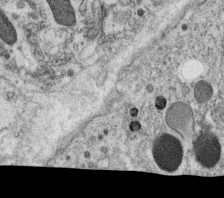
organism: C. elegans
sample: C. elegans oocyte; sperm cells